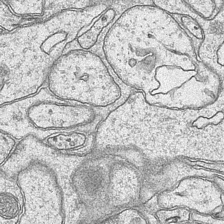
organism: Mouse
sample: CA1 Hippocampus